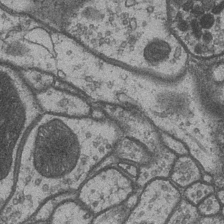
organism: Drosophila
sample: Optic medulla